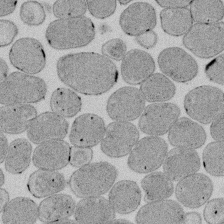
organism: E. coli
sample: Bacterial nucleoid